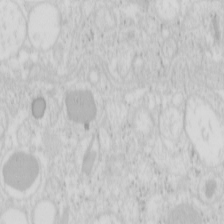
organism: Mouse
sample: Pancreas